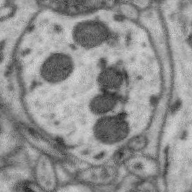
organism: Zebra finch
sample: Brain